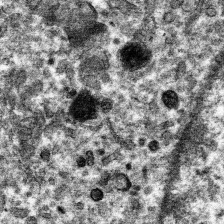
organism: Mouse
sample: Mouse hepatocytes